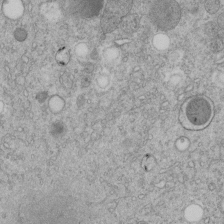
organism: C. elegans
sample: C. elegans embryo early stage